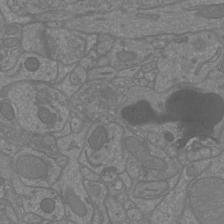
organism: Mouse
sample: Cortical neurons